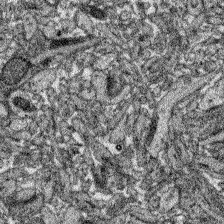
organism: Zebrafish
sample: Larval olfactory bulb